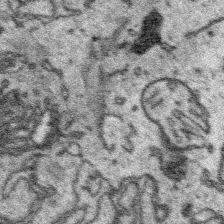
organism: Platynereis dumerilii